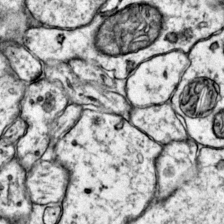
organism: Mouse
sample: Primary visual cortex